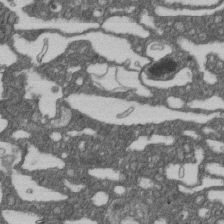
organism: Drosophila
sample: Nephrocyte